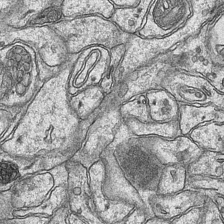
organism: Mouse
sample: CA1 Hippocampus